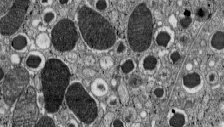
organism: C57BL Mouse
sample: Pancreatic islet